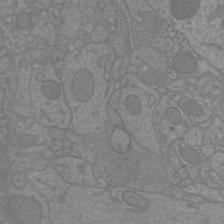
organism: Mouse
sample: Cortical neurons